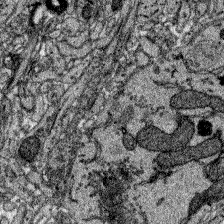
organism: Zebrafish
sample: Larval olfactory bulb